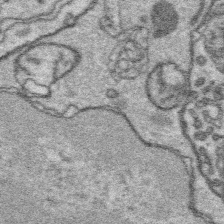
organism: Platynereis dumerilii